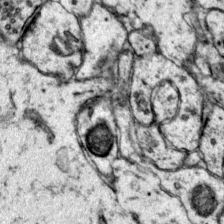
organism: Mouse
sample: Primary visual cortex